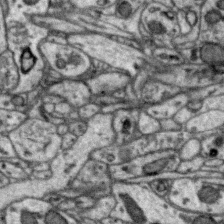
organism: Zebra finch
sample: Brain